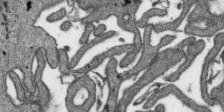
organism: Human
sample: Lung epithelial cells, uninfected (mock) control